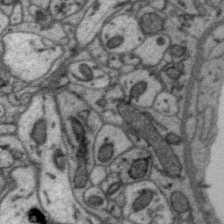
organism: Zebra finch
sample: Brain